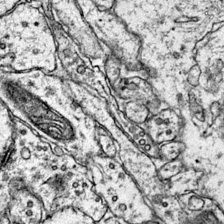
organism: Mouse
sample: Primary visual cortex